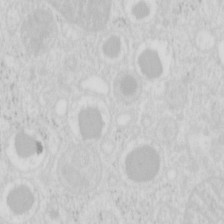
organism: Mouse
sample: Pancreas